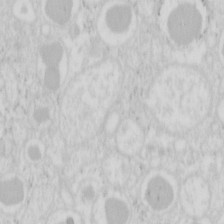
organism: Mouse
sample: Pancreas